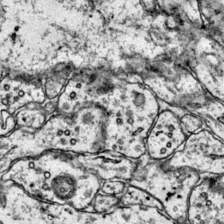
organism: Mouse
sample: Primary visual cortex